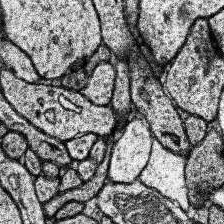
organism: Human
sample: Temporal Lobe